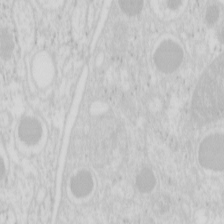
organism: Mouse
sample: Pancreas